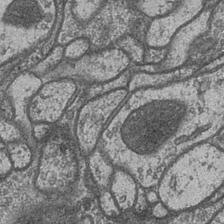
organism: Drosophila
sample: Optic medulla